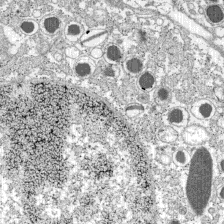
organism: C57BL Mouse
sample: Pancreatic islet